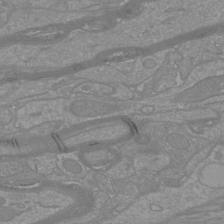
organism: Mouse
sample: Cortical neurons